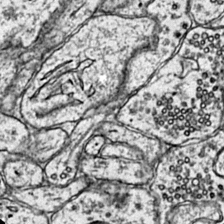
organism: Mouse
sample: Primary visual cortex